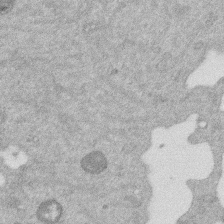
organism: Mouse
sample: Dividing mouse embryo 1 cell stage